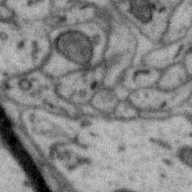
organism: Zebra finch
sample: Brain